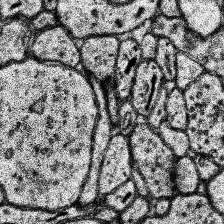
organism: Human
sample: Temporal Lobe